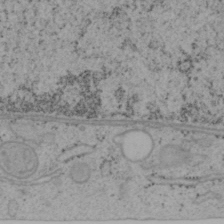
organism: Human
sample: HeLa cells